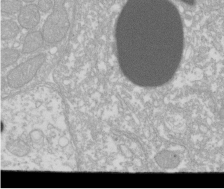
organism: Xenopus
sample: Cilia; centrioles in frog embryo cells